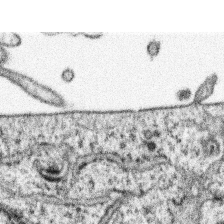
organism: Human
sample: HeLa cells